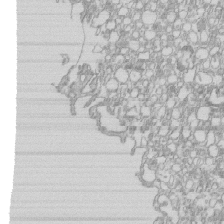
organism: Mouse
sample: Macrophages